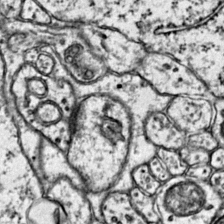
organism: Mouse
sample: Primary visual cortex